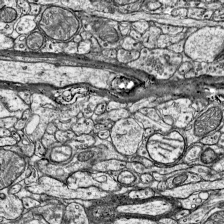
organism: Mouse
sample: Visual Cortex